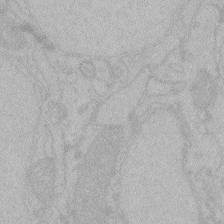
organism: Zebrafish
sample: Macrophage infected with Toxoplasma gondii